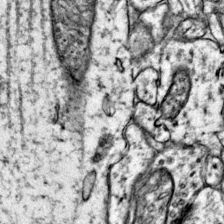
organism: Mouse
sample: Primary visual cortex